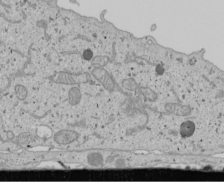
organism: Human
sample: Mitochondria in U2OS cells